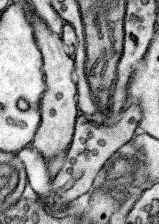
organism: Mouse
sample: Somatosensory cortex neuropil